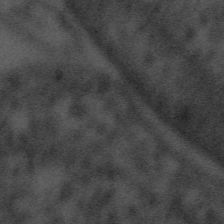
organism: Tuwongella immobilis